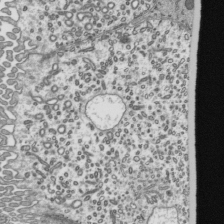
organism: Mouse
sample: Mouse epididymis efferent ductule cilia